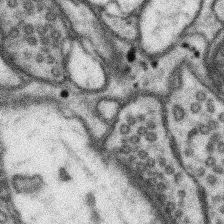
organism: Mouse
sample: Somatosensory cortex neuropil